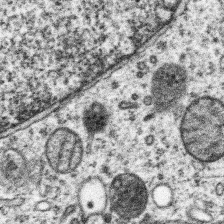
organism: Human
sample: HeLa cells